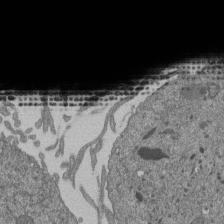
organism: Human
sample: Retinal organoid Rod and Cone cells